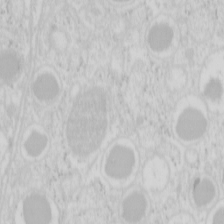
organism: Mouse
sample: Pancreas